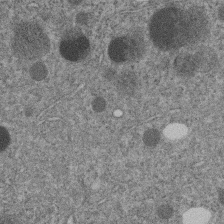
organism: C. elegans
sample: C. elegans embryo early stage